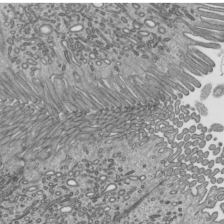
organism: Mouse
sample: Mouse epididymis efferent ductule cilia